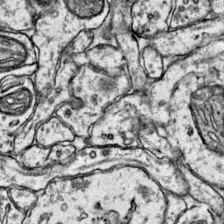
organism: Mouse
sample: Primary visual cortex